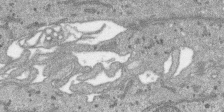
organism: Human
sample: Lung epithelial cells infected with SARS-CoV-2